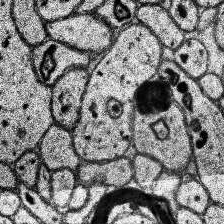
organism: Human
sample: Temporal Lobe